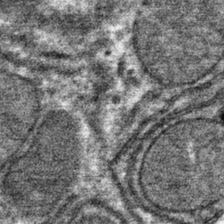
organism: Mouse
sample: Mouse hepatocytes